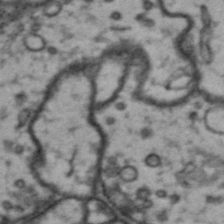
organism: Drosophila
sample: Brain